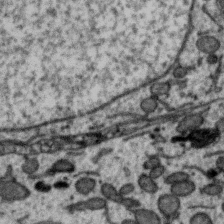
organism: Zebra finch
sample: Brain